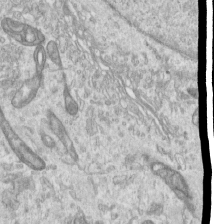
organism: Human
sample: Centriole in RPE cells